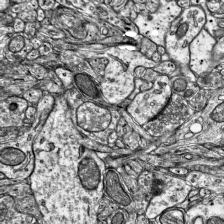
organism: Mouse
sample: Visual Cortex